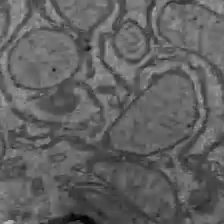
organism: C57BL Mouse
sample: Liver